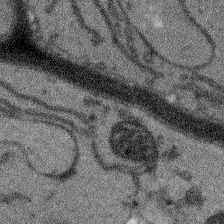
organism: Arabidopsis thaliana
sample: Root tip